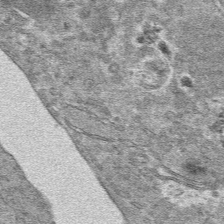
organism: Mouse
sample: Mouse hepatocytes